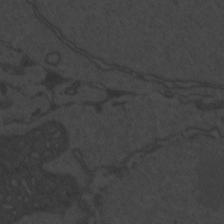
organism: Zebrafish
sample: Macrophage infected with Toxoplasma gondii